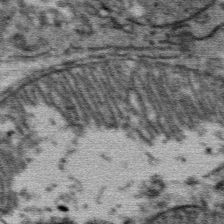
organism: Mouse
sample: Mouse Salivary gland